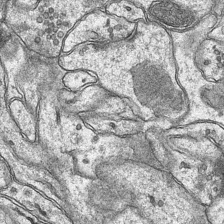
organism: Mouse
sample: CA1 Hippocampus